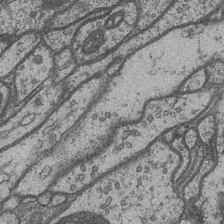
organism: Drosophila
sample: Optic medulla